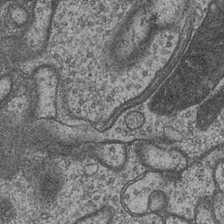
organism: Drosophila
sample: Optic medulla